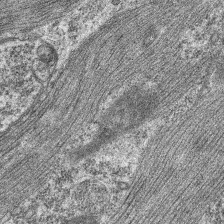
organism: C. elegans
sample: Pharynx